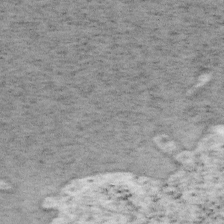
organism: Mouse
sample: OT-I killer T cells with ID8 ovarian cancer cells